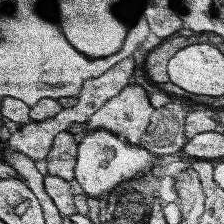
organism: Human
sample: Temporal Lobe